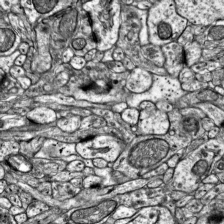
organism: Mouse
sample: Visual Cortex